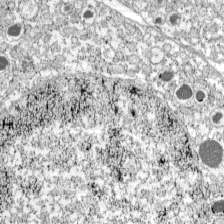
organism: C57BL Mouse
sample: Pancreatic islet